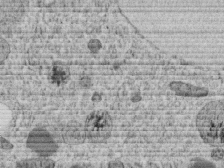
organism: C. elegans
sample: C. elegans embryo early stage